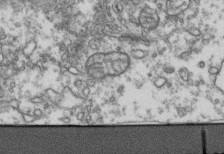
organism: Human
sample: Activated Jurkat CD4+ T cells